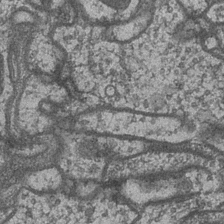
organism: Drosophila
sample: Optic medulla